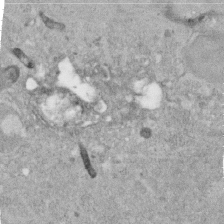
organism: Human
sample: Centriole in RPE cells